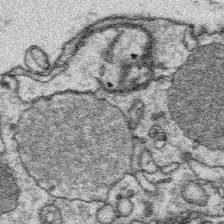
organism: Platynereis dumerilii